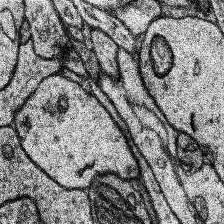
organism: Human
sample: Temporal Lobe